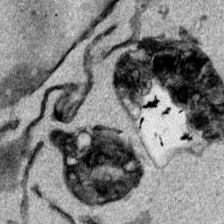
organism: Mouse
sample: Cancer cell death in ED-1 cells